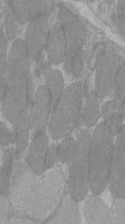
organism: C57BL Mouse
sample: Tibialis anterior muscle cell